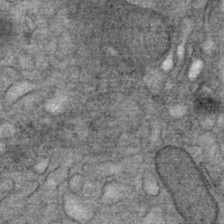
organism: Mouse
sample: Mouse Salivary gland